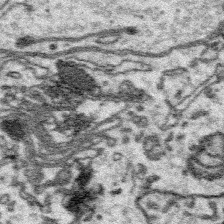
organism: Platynereis dumerilii